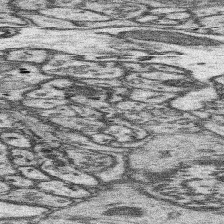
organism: Mouse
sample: Somatosensory cortex neuropil